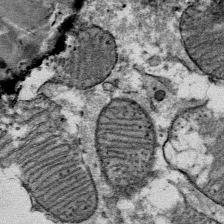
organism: Mouse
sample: Mouse Salivary gland